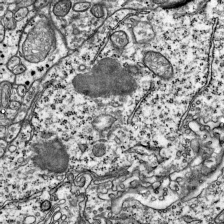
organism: Mouse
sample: Visual Cortex